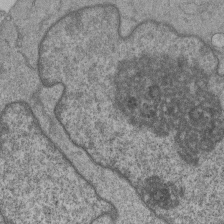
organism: Human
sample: MDA-MB-231 cells